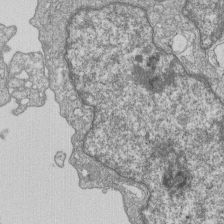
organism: Human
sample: MDA-MB-231 cells